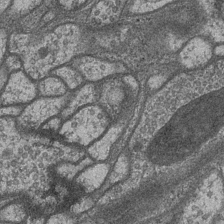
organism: Drosophila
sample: Optic medulla